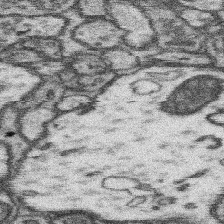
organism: Mouse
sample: Somatosensory cortex neuropil